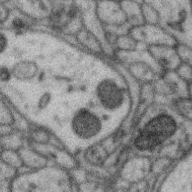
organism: Zebra finch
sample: Brain